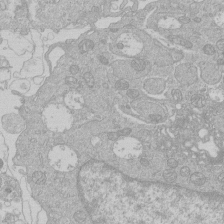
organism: Human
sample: Macrophage cells